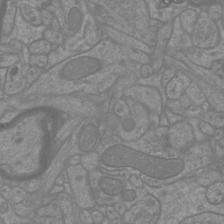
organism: Mouse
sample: Cortical neurons